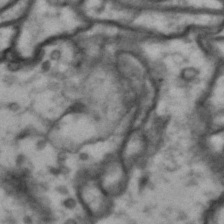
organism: Drosophila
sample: Brain